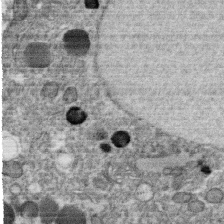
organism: C. elegans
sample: C. elegans oocyte; sperm cells